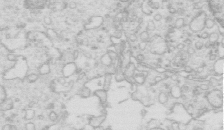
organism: Mouse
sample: Multiciliated cells